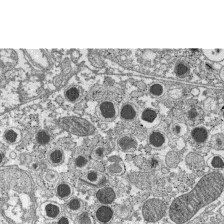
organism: C57BL Mouse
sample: Pancreatic islet